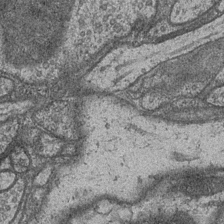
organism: Drosophila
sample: Optic medulla